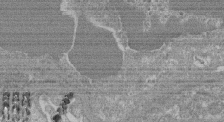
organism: Mouse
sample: Glomerulus